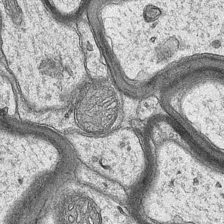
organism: Mouse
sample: CA1 Hippocampus